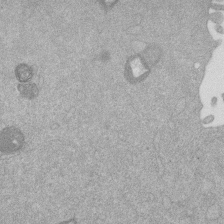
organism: Mouse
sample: Dividing mouse embryo 1 cell stage